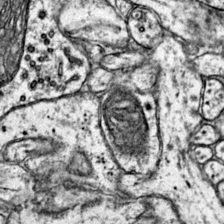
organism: Mouse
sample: Primary visual cortex